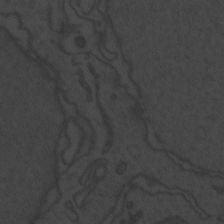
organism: Zebrafish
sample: Macrophage infected with Toxoplasma gondii